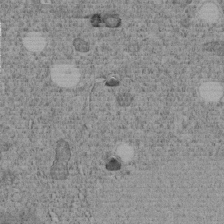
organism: C. elegans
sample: C. elegans embryo early stage